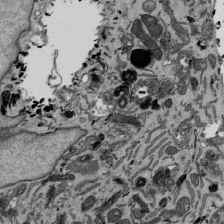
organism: Mouse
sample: ED-1 cell nuclei; centrioles